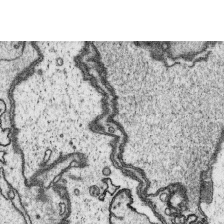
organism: Platynereis dumerilii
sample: Parapodia